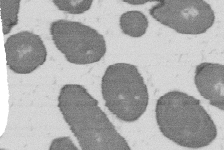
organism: B. subtilis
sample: Bacterial spore